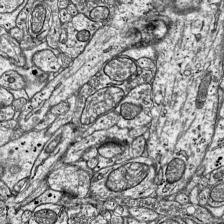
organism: Mouse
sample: Visual Cortex